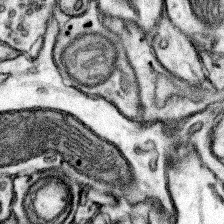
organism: Mouse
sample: Somatosensory cortex neuropil